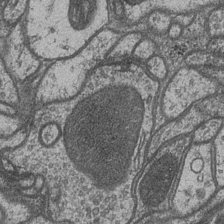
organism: Drosophila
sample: Optic medulla